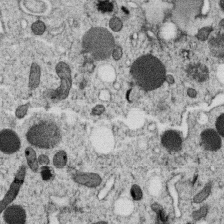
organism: C. elegans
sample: C. elegans oocyte; sperm cells